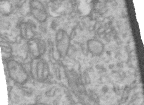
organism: Human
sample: Centriole in RPE cells